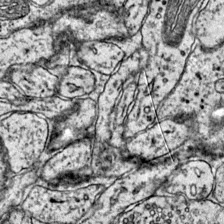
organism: Mouse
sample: Primary visual cortex